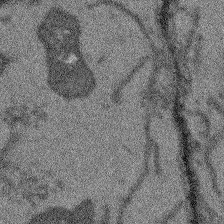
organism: Arabidopsis thaliana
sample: Root tip